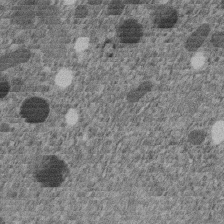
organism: C. elegans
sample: C. elegans embryo early stage